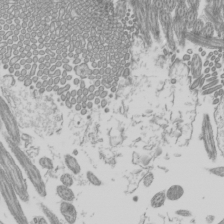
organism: Mouse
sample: Cilia; mouse epididymis